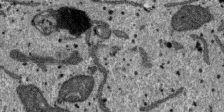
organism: Human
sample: Lung epithelial cells, uninfected (mock) control